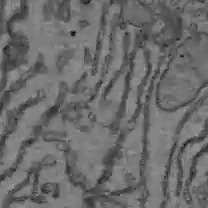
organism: C57BL Mouse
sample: Liver